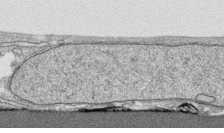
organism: Human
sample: CRL-1474